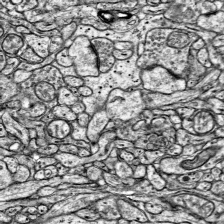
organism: Mouse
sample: Visual Cortex